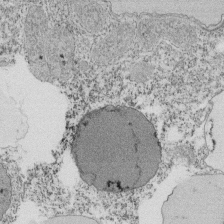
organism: Tetrahymena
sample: Cilia in tetrahymena